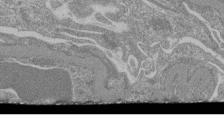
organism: Mouse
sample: Glomerulus